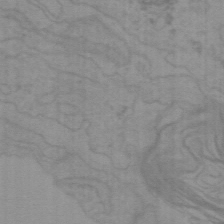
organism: Mouse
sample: Choroid plexus